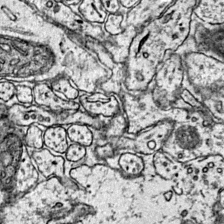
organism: Mouse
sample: Primary visual cortex